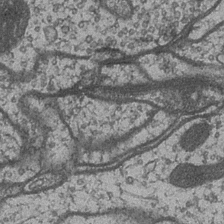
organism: Drosophila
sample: Optic medulla